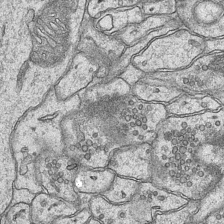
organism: Mouse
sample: CA1 Hippocampus